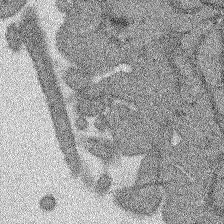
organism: Human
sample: HeLa cells